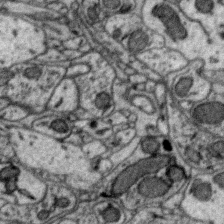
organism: Zebra finch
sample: Brain